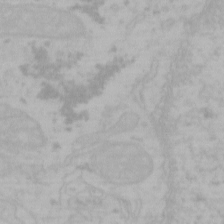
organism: Mouse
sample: Choroid plexus